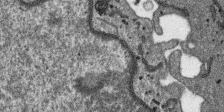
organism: Human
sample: Lung epithelial cells infected with SARS-CoV-2